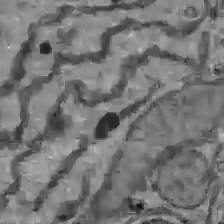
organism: C57BL Mouse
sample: Liver